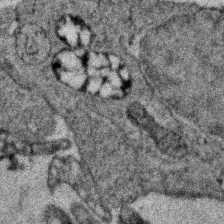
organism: Zebrafish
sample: Zebrafish embryo